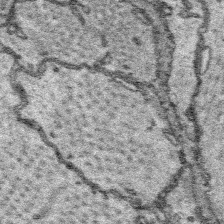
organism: Platynereis dumerilii